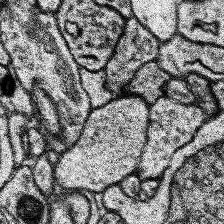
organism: Human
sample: Temporal Lobe